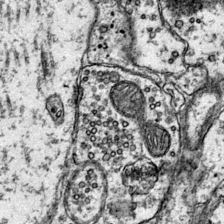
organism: Mouse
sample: Primary visual cortex